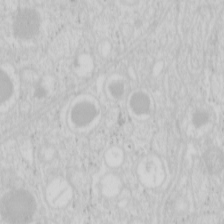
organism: Mouse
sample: Pancreas